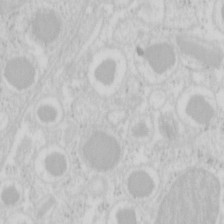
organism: Mouse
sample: Pancreas